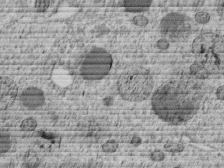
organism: C. elegans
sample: C. elegans embryo early stage